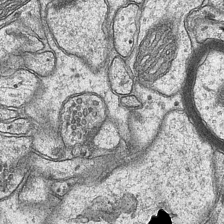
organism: Mouse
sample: CA1 Hippocampus